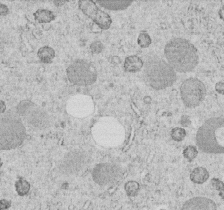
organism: C. elegans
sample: C. elegans embryo early stage